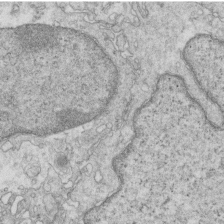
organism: Mouse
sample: Multiciliated cells